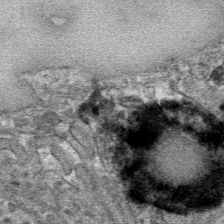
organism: Mouse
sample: Mouse hepatocytes